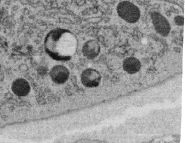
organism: C. elegans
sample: C. elegans oocyte; sperm cells